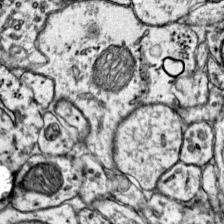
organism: Mouse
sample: Primary visual cortex